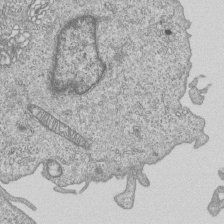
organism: Human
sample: MDA-MB-231 cells